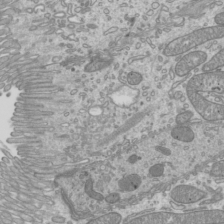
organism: Mouse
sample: Cilia; mouse epididymis